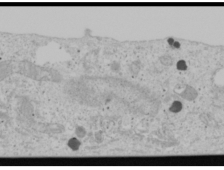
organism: Human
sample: Mitochondria in U2OS cells